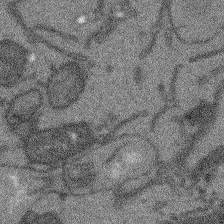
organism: Arabidopsis thaliana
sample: Root tip